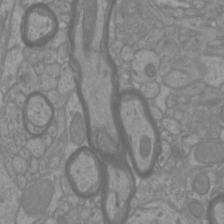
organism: Mouse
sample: Cortical neurons